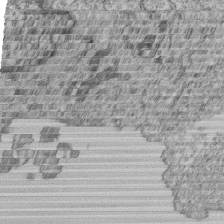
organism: Human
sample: MDA-MB-231 cells